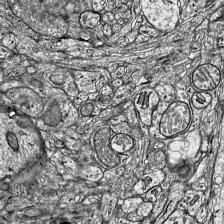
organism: Mouse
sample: Visual Cortex